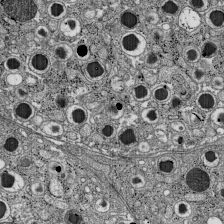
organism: C57BL Mouse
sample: Pancreatic islet